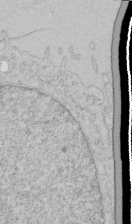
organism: Human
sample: Mitochondria in HCT116 cells